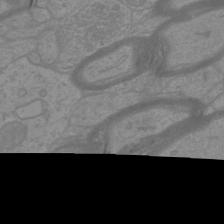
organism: Mouse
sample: Cortical neurons